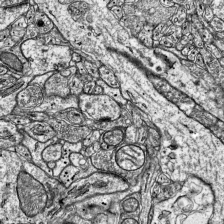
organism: Mouse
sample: Visual Cortex